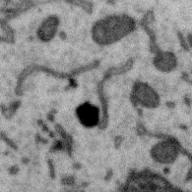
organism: Zebra finch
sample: Brain